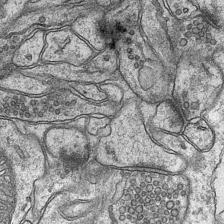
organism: Mouse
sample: CA1 Hippocampus